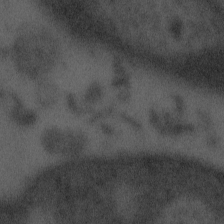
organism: Tuwongella immobilis